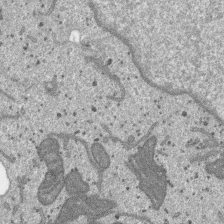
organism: Human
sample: Lung epithelial cells infected with SARS-CoV-2